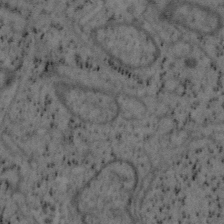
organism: Human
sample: HeLa cells